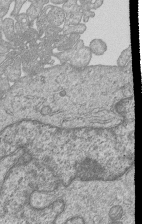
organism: Human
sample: MDA-MB-231 cells